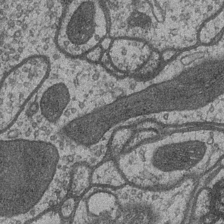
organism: Drosophila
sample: Optic medulla